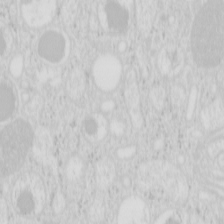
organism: Mouse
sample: Pancreas